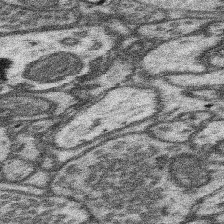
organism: Mouse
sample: Somatosensory cortex neuropil